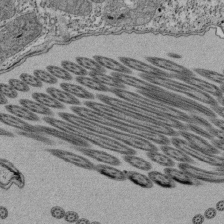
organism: Tetrahymena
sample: Cilia in tetrahymena